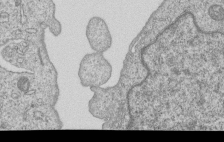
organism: Human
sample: MDA-MB-231 cells